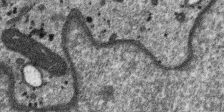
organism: Human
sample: Lung epithelial cells infected with SARS-CoV-2